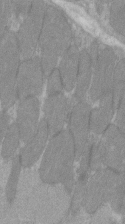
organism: C57BL Mouse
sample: Tibialis anterior muscle cell